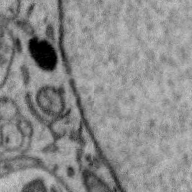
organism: Zebra finch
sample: Brain